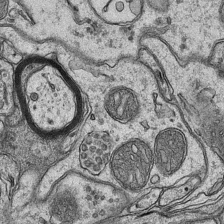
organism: Mouse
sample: CA1 Hippocampus